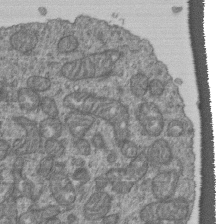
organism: Human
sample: Retinal organoid Rod and Cone cells